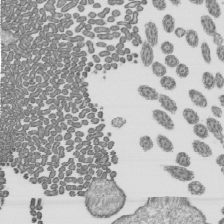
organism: Mouse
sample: Mouse epididymis efferent ductule cilia